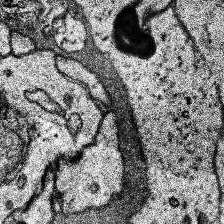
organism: Human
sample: Temporal Lobe